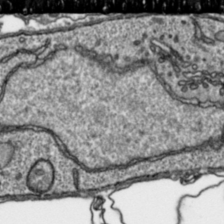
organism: Toxoplasma gondii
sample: Parasites in a vacuole inside a host cell